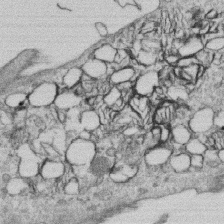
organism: Human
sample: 1205lu cells